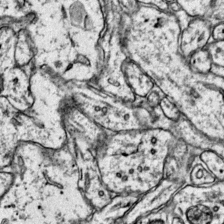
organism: Mouse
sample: Primary visual cortex